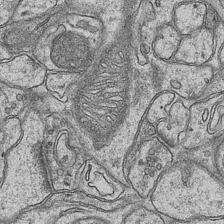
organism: Mouse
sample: CA1 Hippocampus